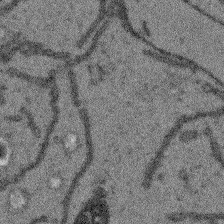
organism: Arabidopsis thaliana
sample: Root tip